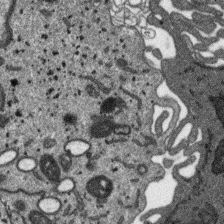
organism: Human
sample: Lung epithelial cells infected with SARS-CoV-2